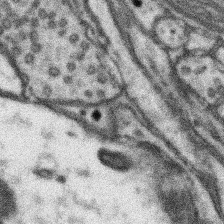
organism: Mouse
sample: Somatosensory cortex neuropil